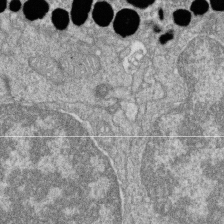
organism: Zebrafish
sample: Cilia; retinal pigment epithelium